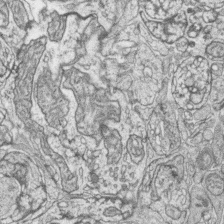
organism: Zebrafish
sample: synaptic ribbons in rod cells and cone cells